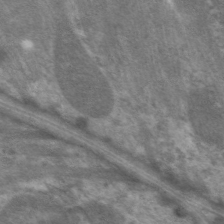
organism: C. elegans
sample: Pharynx